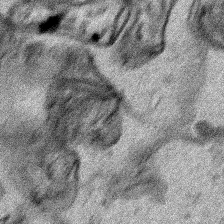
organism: Human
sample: Mitochondria in HCT116 cells